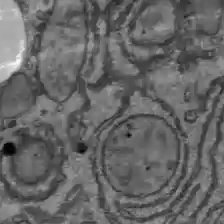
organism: C57BL Mouse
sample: Liver